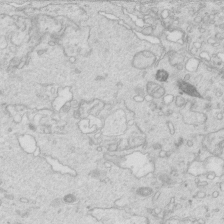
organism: Mouse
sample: Multiciliated cells